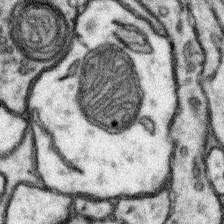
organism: Mouse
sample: Somatosensory cortex neuropil